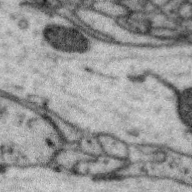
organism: Zebra finch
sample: Brain